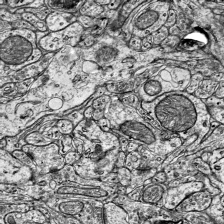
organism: Mouse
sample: Visual Cortex